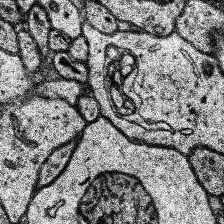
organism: Human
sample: Temporal Lobe